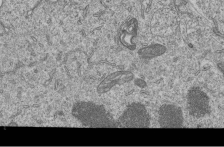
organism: Human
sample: MDA-MB-231 cells